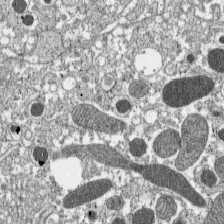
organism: C57BL Mouse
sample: Pancreatic islet